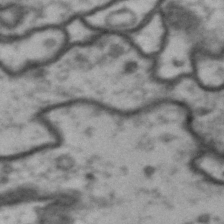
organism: Drosophila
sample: Brain